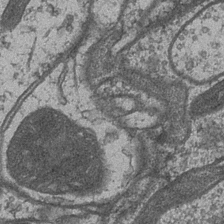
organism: Drosophila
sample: Optic medulla